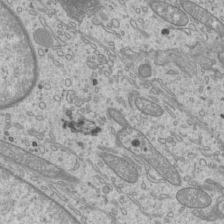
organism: Mouse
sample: Cilia; mouse epididymis